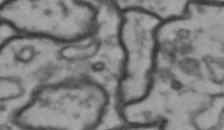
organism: Drosophila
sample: Brain